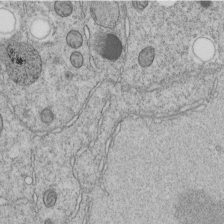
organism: C. elegans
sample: C. elegans embryo early stage